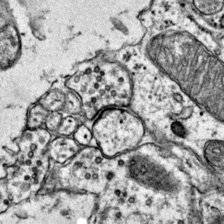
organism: Mouse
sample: Primary visual cortex